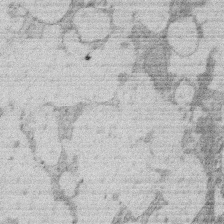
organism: Rat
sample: Salivary granule